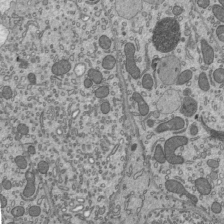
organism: Mouse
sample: Mouse epididymis efferent ductule cilia